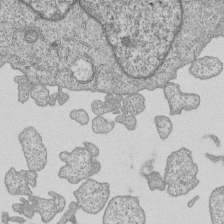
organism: Human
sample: MDA-MB-231 cells